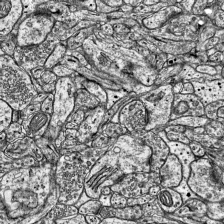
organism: Mouse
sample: Visual Cortex